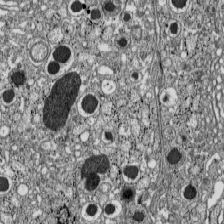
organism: C57BL Mouse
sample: Pancreatic islet